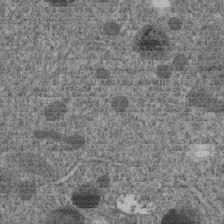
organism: C. elegans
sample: C. elegans embryo early stage